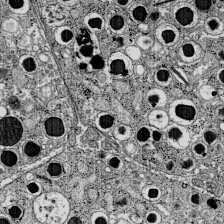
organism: C57BL Mouse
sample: Pancreatic islet